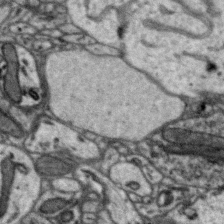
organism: Zebra finch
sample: Brain